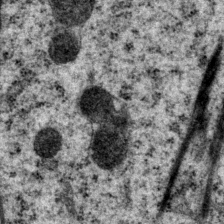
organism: P. pacificus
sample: Pharynx